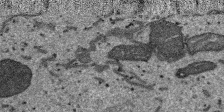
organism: Human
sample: Lung epithelial cells infected with SARS-CoV-2